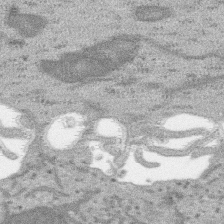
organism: Human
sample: Lung epithelial cells infected with SARS-CoV-2